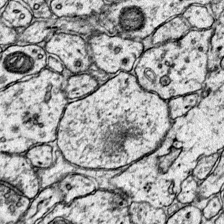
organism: Mouse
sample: Primary visual cortex